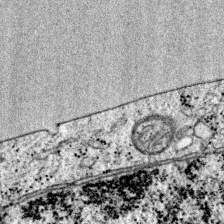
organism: Human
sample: HeLa cells